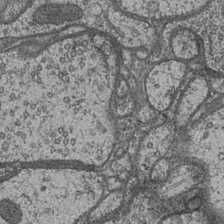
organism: Drosophila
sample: Optic medulla